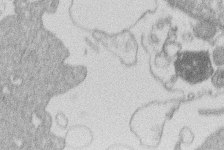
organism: Human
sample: Macrophage cells